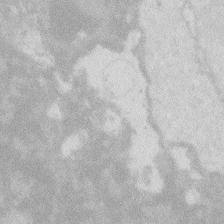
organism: Zebrafish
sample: Macrophage